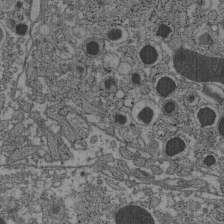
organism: C57BL Mouse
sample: Pancreatic islet